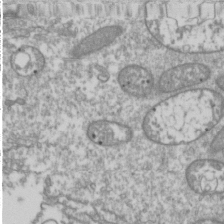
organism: Drosophila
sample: Cell division; meiosis; drosophila spermatocytes